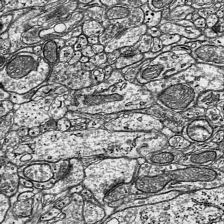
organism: Mouse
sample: Visual Cortex